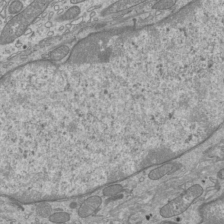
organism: Mouse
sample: Cilia; mouse epididymis